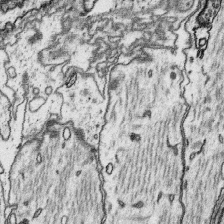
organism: Platynereis dumerilii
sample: Parapodia